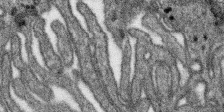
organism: Human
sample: Lung epithelial cells infected with SARS-CoV-2